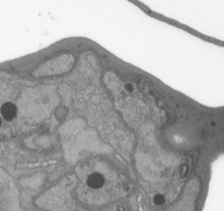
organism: Plasmodium falciparum